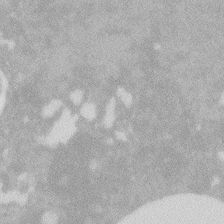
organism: Zebrafish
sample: Macrophage